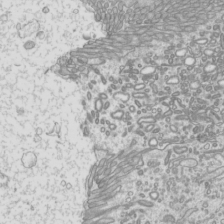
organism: Mouse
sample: Cilia; mouse epididymis